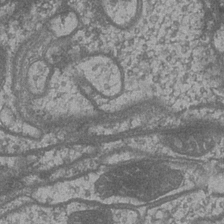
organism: Drosophila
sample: Optic medulla